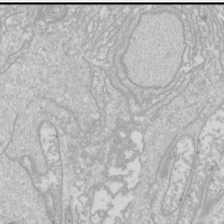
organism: Drosophila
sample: Cell division; meiosis; drosophila spermatocytes